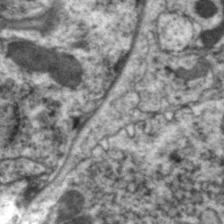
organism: C. elegans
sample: Pharynx